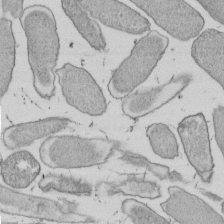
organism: E. coli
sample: Bacterial nucleoid